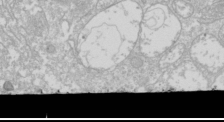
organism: Drosophila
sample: Cell division; meiosis; drosophila spermatocytes